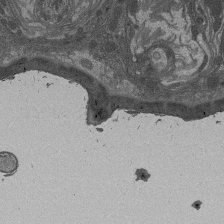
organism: Drosophila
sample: Antenna